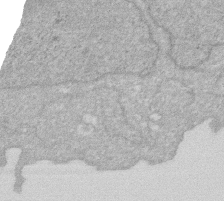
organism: Human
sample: HIV infected U937 cells